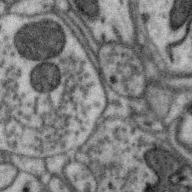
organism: Zebra finch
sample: Brain